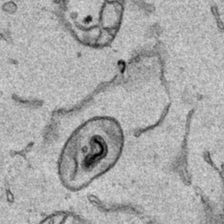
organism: Human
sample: Mitochondria in HCT116 cells